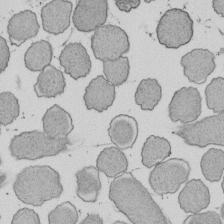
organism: E. coli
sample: Bacterial nucleoid